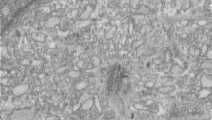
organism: Human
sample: Centriole in RPE cells